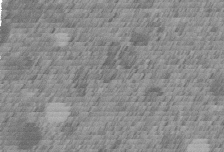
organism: C. elegans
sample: C. elegans embryo early stage